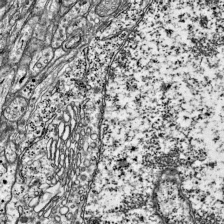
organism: Mouse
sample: Visual Cortex